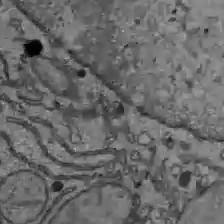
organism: C57BL Mouse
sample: Liver